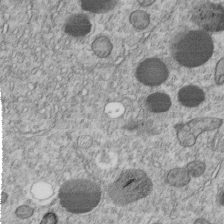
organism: C. elegans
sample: C. elegans embryo early stage